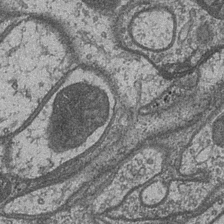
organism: Drosophila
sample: Optic medulla